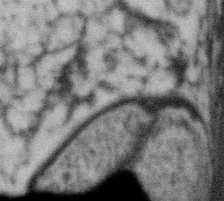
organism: Gemmata obscuriglobus